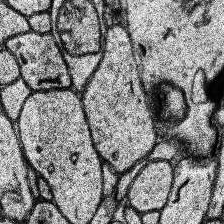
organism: Human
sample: Temporal Lobe